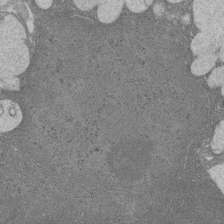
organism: Rat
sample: Salivary granule